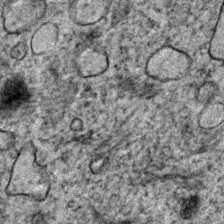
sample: Trachea